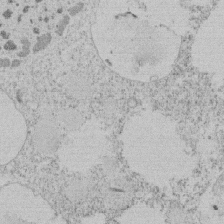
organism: Tetrahymena